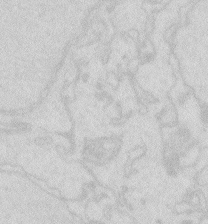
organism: Zebrafish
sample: Macrophage